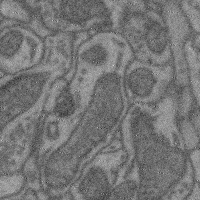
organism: Mouse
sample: Cerebral cortex